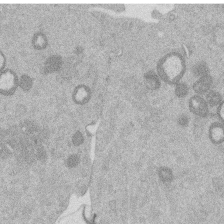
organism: Mouse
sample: Dividing mouse embryo 1 cell stage